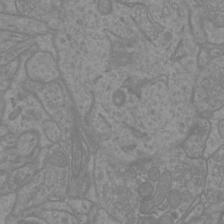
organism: Mouse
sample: Cortical neurons